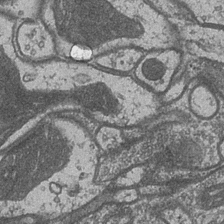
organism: Drosophila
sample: Optic medulla